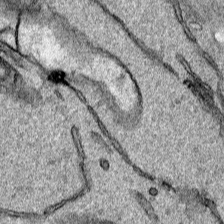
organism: Human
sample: Mitochondria in HCT116 cells